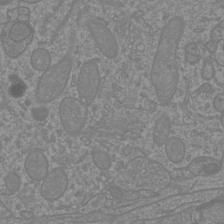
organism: Mouse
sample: Cortical neurons